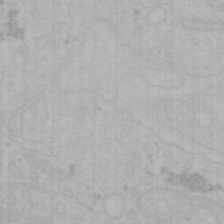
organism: Mouse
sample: Choroid plexus